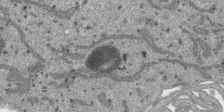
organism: Human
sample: Lung epithelial cells infected with SARS-CoV-2